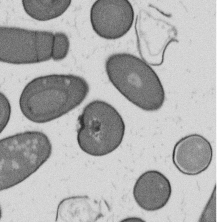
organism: B. subtilis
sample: Bacterial spore